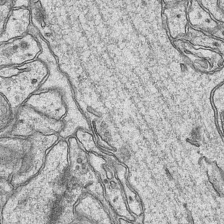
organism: Mouse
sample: CA1 Hippocampus